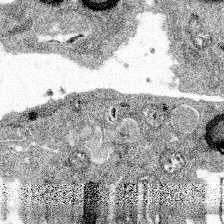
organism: Spongilla lacustris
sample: Multiple